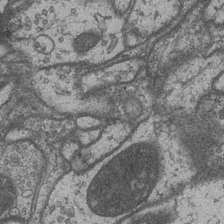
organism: Drosophila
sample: Optic medulla